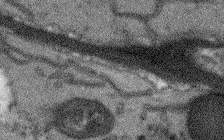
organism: Arabidopsis thaliana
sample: Root tip